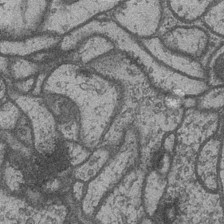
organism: Drosophila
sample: Optic medulla